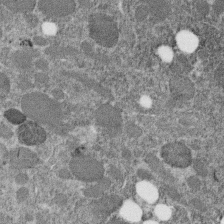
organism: C. elegans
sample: C. elegans embryo early stage